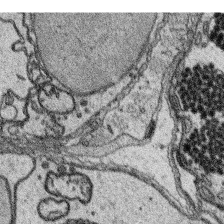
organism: Platynereis dumerilii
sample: Parapodia